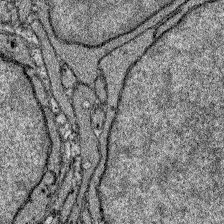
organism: Zebrafish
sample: Larval olfactory bulb